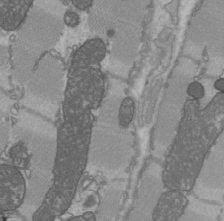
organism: C57BL Mouse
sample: Heart